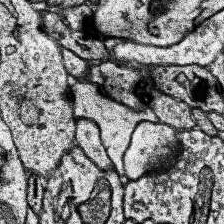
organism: Human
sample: Temporal Lobe